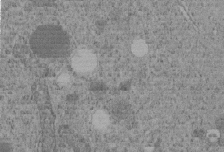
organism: C. elegans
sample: C. elegans embryo early stage